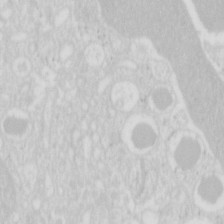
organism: Mouse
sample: Pancreas